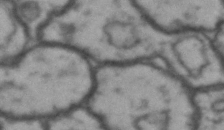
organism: Drosophila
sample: Brain